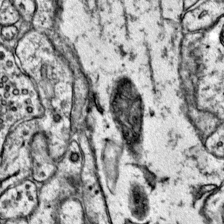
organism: Mouse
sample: Primary visual cortex